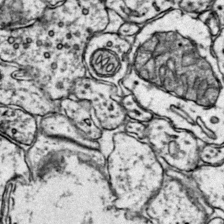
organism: Mouse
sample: Primary visual cortex